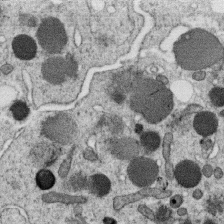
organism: C. elegans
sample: C. elegans oocyte; sperm cells